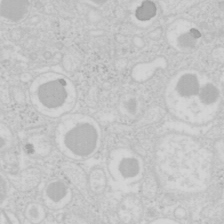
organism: Mouse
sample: Pancreas